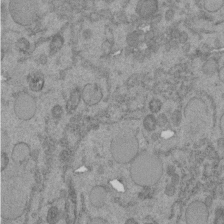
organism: C. elegans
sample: C. elegans embryo early stage